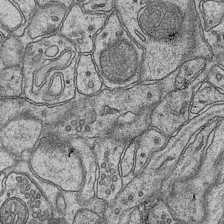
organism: Mouse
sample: CA1 Hippocampus